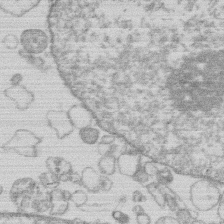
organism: Human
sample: Macrophage cells